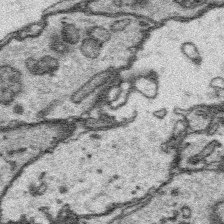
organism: Platynereis dumerilii